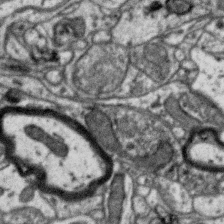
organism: Zebra finch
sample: Brain